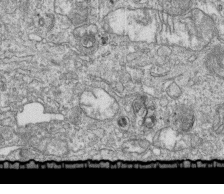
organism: Human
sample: HeLa cell HIV synapse